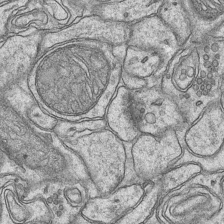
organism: Mouse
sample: CA1 Hippocampus